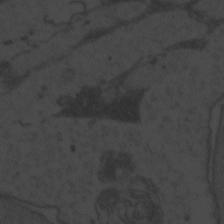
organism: Zebrafish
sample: Macrophage infected with Toxoplasma gondii